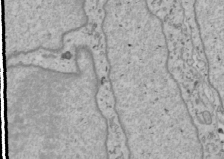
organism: Human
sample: Mitochondria in U2OS cells